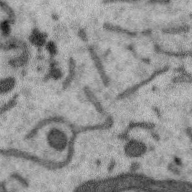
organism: Zebra finch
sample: Brain